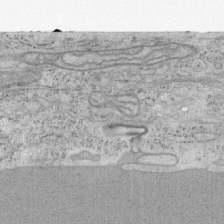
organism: Human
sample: HeLa cells